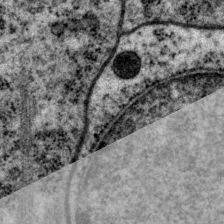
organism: P. pacificus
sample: Pharynx